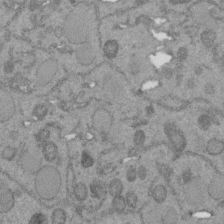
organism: C. elegans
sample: C. elegans embryo early stage